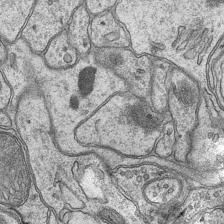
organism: Mouse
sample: CA1 Hippocampus